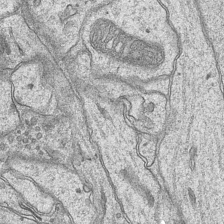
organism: Mouse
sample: CA1 Hippocampus